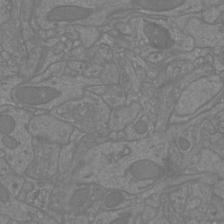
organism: Mouse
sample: Cortical neurons